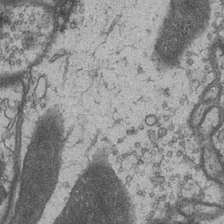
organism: Drosophila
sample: Optic medulla